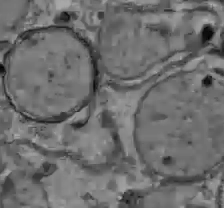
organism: C57BL Mouse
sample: Liver